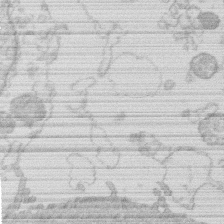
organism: Human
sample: Macrophage cells